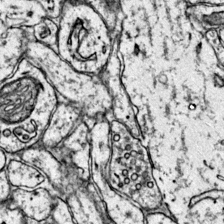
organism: Mouse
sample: Primary visual cortex